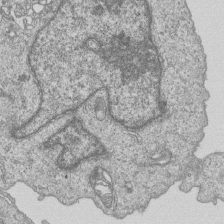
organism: Human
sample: MDA-MB-231 cells